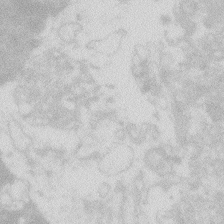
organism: Zebrafish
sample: Macrophage